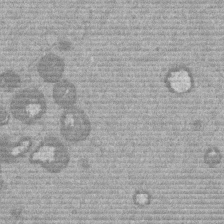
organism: Mouse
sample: Dividing mouse embryo 1 cell stage